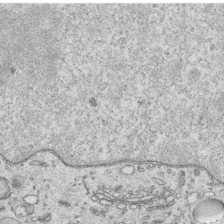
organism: Human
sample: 1205lu cells